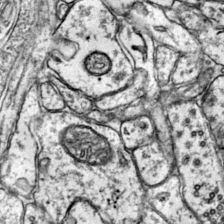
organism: Mouse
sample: Primary visual cortex